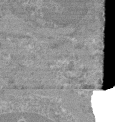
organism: Mouse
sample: Glomerulus